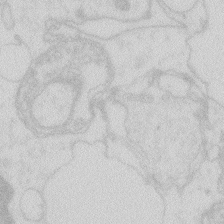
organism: Zebrafish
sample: Macrophage